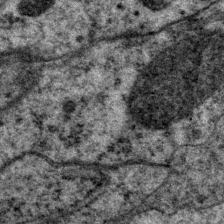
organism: P. pacificus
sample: Pharynx